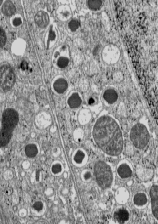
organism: C57BL Mouse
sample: Pancreatic islet